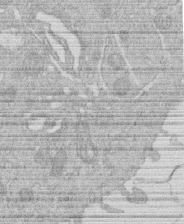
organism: Human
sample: Macrophage cells